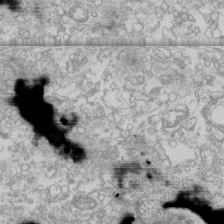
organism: Human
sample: CRL-1474